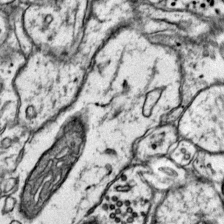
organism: Mouse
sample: Primary visual cortex